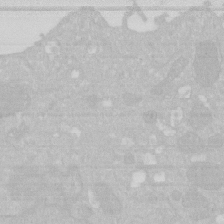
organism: Human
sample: HIV infected U937 cells